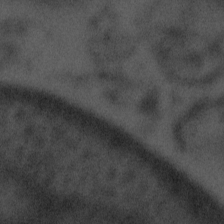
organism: Tuwongella immobilis